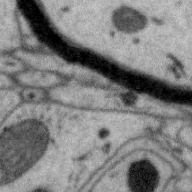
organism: Zebra finch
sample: Brain